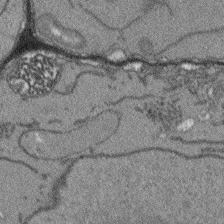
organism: Arabidopsis thaliana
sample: Root tip